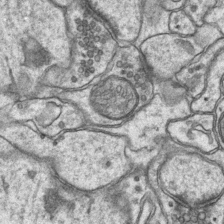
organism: Mouse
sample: CA1 Hippocampus